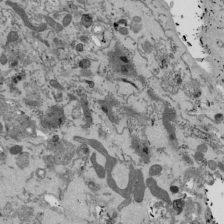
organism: Mouse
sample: ED-1 cell nuclei; centrioles